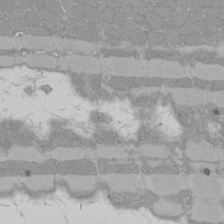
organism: Rat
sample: Left ventricle